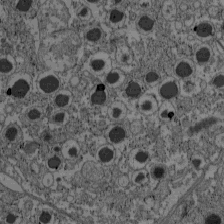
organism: C57BL Mouse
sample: Pancreatic islet